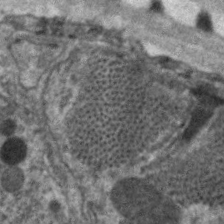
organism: C. elegans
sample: Pharynx